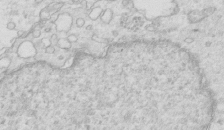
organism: Mouse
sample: Multiciliated cells